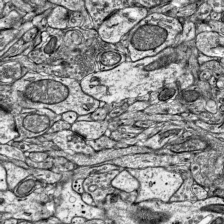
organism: Mouse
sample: Visual Cortex